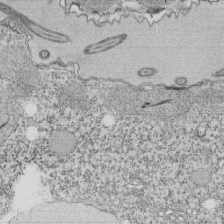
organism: Tetrahymena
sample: Cilia in tetrahymena